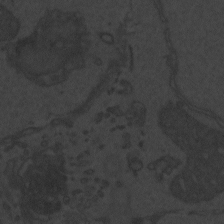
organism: Zebrafish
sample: Macrophage infected with Toxoplasma gondii